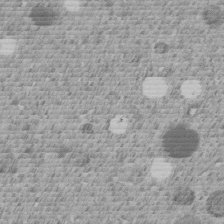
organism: C. elegans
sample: C. elegans embryo early stage